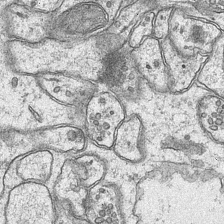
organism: Mouse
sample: CA1 Hippocampus